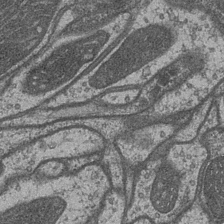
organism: Drosophila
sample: Optic medulla